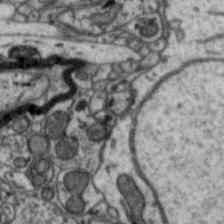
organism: Zebra finch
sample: Brain